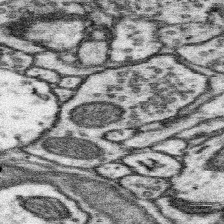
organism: Mouse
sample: Somatosensory cortex neuropil